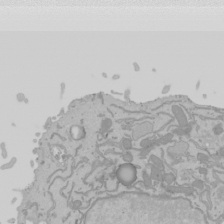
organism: Mouse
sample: Cancer cell death in ED-1 cells